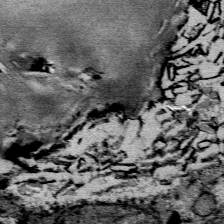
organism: Mouse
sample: Mouse Salivary gland